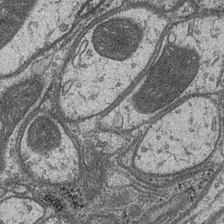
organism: Drosophila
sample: Optic medulla